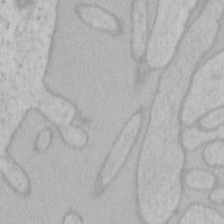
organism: Human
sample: HeLa cells